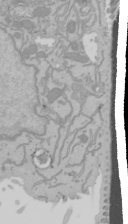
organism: Mouse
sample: Cancer cell death in ED-1 cells